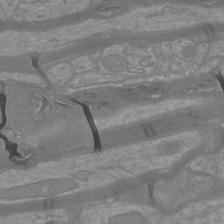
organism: Mouse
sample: Cortical neurons